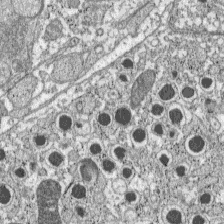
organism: C57BL Mouse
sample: Pancreatic islet